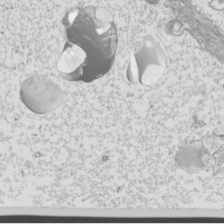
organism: Mouse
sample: Cilia; mouse epididymis